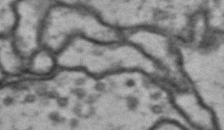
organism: Drosophila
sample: Brain